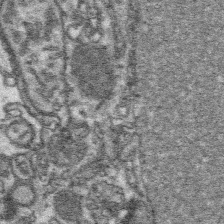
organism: Platynereis dumerilii